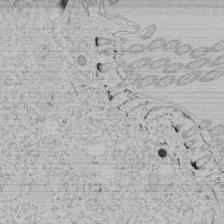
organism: Tetrahymena